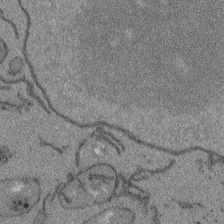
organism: Arabidopsis thaliana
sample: Root tip